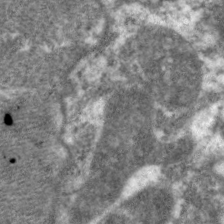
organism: C. elegans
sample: Pharynx